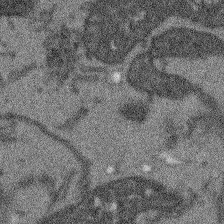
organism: Arabidopsis thaliana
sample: Root tip